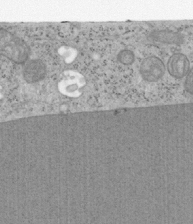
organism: Human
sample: HeLa cells